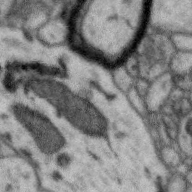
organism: Zebra finch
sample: Brain